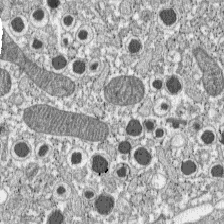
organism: C57BL Mouse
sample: Pancreatic islet